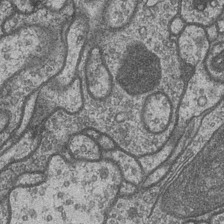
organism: Drosophila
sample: Optic medulla